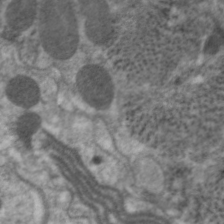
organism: C. elegans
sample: Pharynx